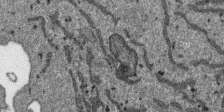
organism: Human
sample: Lung epithelial cells infected with SARS-CoV-2